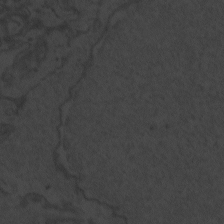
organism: Zebrafish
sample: Macrophage infected with Toxoplasma gondii